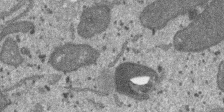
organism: Human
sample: Lung epithelial cells infected with SARS-CoV-2